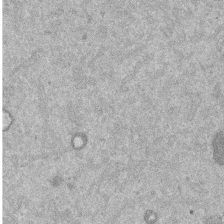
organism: Mouse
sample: Dividing mouse embryo 1 cell stage